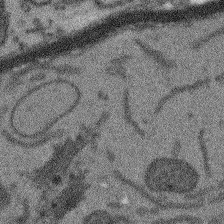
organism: Arabidopsis thaliana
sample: Root tip